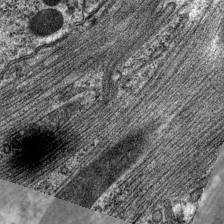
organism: C. elegans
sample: Pharynx